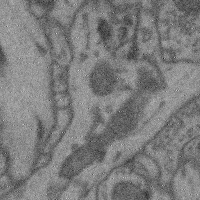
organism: Mouse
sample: Cerebral cortex